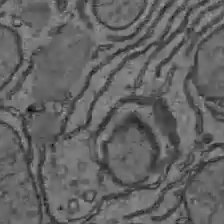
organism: C57BL Mouse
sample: Liver